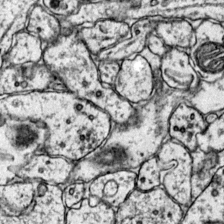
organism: Mouse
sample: Primary visual cortex